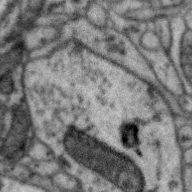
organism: Zebra finch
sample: Brain